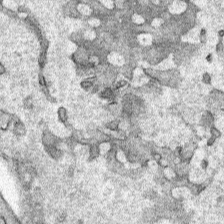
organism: Human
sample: Mitochondria in HCT116 cells